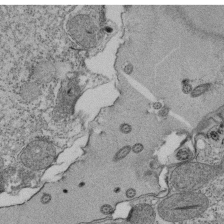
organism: Tetrahymena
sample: Cilia in tetrahymena